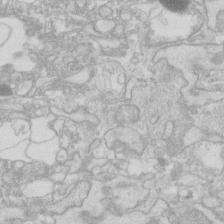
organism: Human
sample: Fibroblast cells